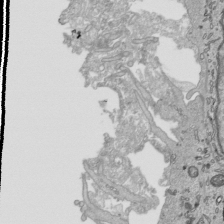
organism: Human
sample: Mitochondria in HCT116 cells